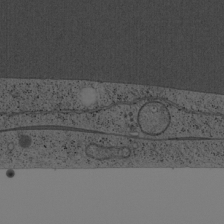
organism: African green monkey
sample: COS-7 cells